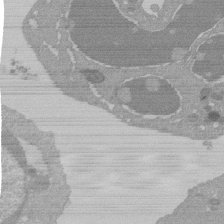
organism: Mouse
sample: Activated Pmel transgenic CD8+ T Cells